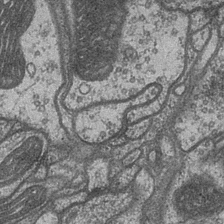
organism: Drosophila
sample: Optic medulla